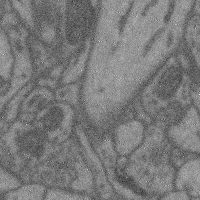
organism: Mouse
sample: Cerebral cortex